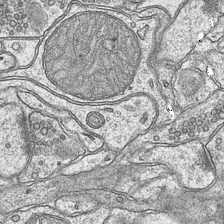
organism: Mouse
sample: CA1 Hippocampus